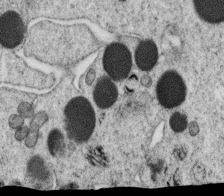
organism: C. elegans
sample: C. elegans oocyte; sperm cells